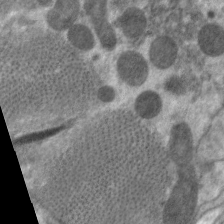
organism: C. elegans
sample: Pharynx